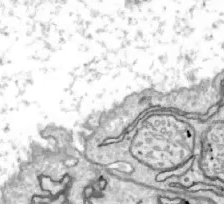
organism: Zebrafish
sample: Actinotrichia fibers